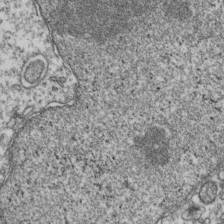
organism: Human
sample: Activated Jurkat CD4+ T cells